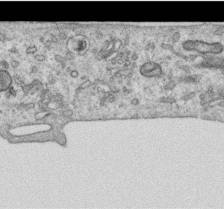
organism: Human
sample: Centriole in RPE cells